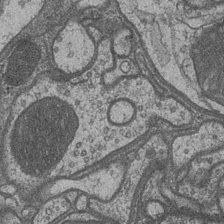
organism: Drosophila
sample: Optic medulla